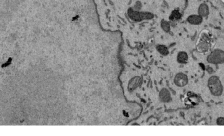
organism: Mouse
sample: ED-1 cell nuclei; centrioles